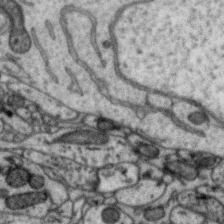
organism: Zebra finch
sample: Brain